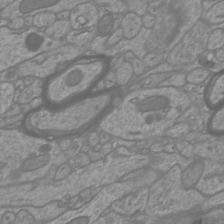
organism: Mouse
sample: Cortical neurons